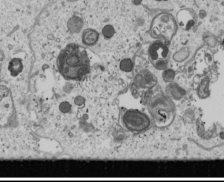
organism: Human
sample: Mitochondria in U2OS cells